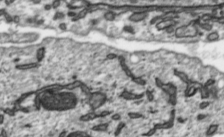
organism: Toxoplasma gondii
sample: Parasites in a vacuole inside a host cell